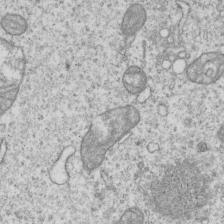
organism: Human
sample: MDA-MB-231 cells